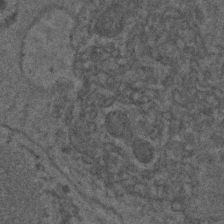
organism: C. elegans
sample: C. elegans embryo